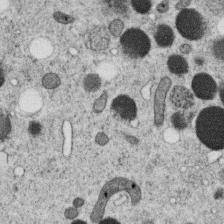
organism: C. elegans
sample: C. elegans oocyte; sperm cells